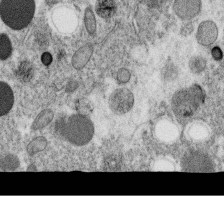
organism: C. elegans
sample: C. elegans oocyte; sperm cells